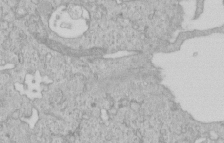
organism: Human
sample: Centriole in RPE cells